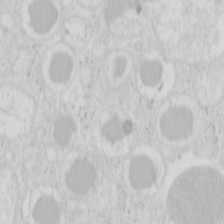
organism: Mouse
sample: Pancreas